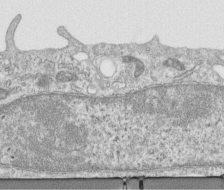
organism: Human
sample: Centriole in RPE cells